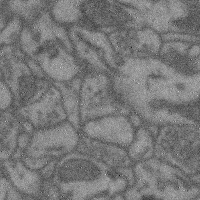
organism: Mouse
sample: Cerebral cortex